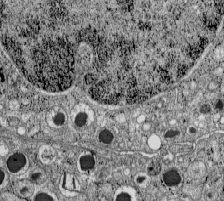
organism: C57BL Mouse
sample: Pancreatic islet